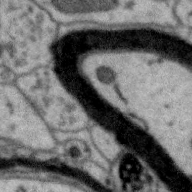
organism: Zebra finch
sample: Brain